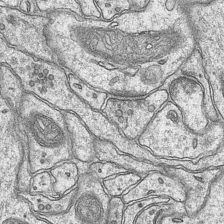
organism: Mouse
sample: CA1 Hippocampus